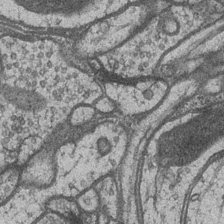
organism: Drosophila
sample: Optic medulla